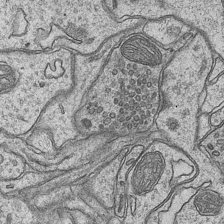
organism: Mouse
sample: CA1 Hippocampus